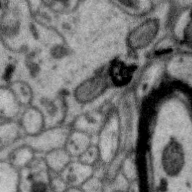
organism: Zebra finch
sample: Brain